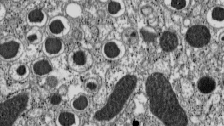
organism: C57BL Mouse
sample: Pancreatic islet